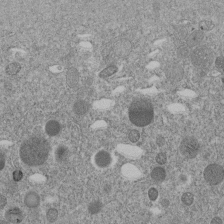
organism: C. elegans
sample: C. elegans embryo early stage